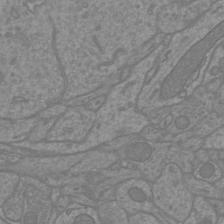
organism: Mouse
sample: Cortical neurons